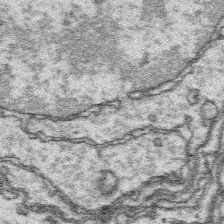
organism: Platynereis dumerilii